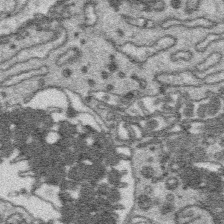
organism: Platynereis dumerilii